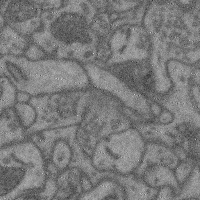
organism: Mouse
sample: Cerebral cortex